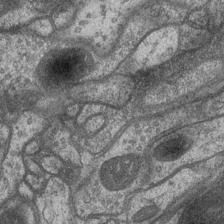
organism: Drosophila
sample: Optic medulla